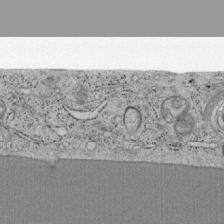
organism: Human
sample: HeLa cells